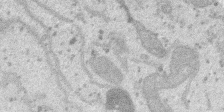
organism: Human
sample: Lung epithelial cells infected with SARS-CoV-2